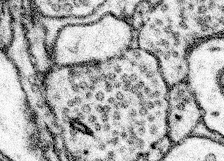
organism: Mouse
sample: Somatosensory cortex neuropil